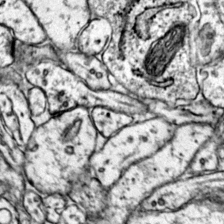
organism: Mouse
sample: Primary visual cortex